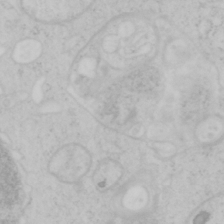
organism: Mouse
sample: OT-I killer T cells with ID8 ovarian cancer cells